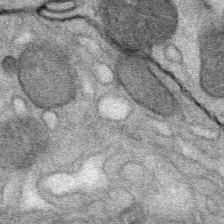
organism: Mouse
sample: Mouse Salivary gland